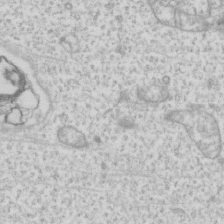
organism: Human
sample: Fibroblast cells